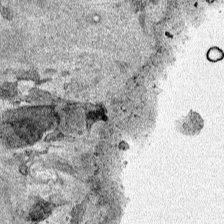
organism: Human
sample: Mitochondria in HCT116 cells